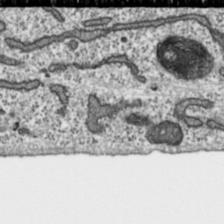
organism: Toxoplasma gondii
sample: Parasites in a vacuole inside a host cell